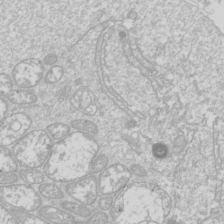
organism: Drosophila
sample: Cell division; meiosis; drosophila spermatocytes